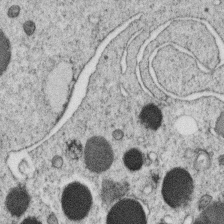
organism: C. elegans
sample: C. elegans oocyte; sperm cells